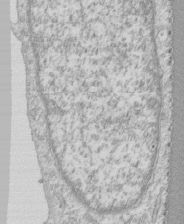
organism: Human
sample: CRL-1474